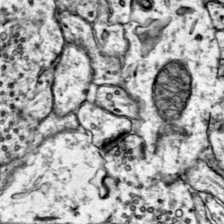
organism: Mouse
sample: Primary visual cortex